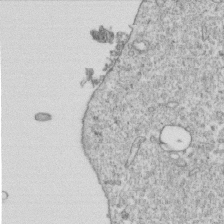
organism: Mouse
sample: Activated OT-1 CD8+ T cells